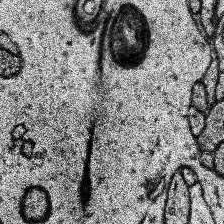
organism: Human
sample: Temporal Lobe